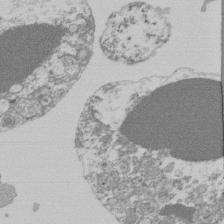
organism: Mouse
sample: Activated Pmel transgenic CD8+ T Cells